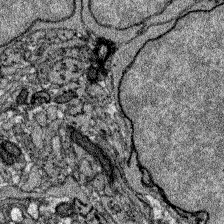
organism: Zebrafish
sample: Larval olfactory bulb